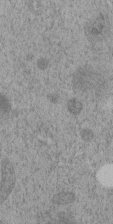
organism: C. elegans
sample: C. elegans embryo early stage